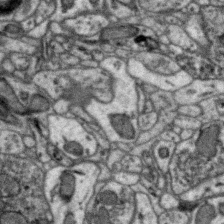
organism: Zebra finch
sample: Brain